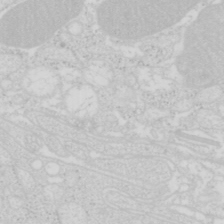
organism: Mouse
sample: Pancreas